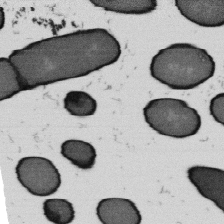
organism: B. subtilis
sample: Bacterial spore